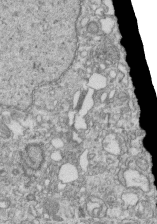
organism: Human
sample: HeLa cell HIV synapse